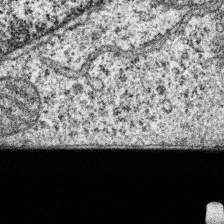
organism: Human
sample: HeLa cells